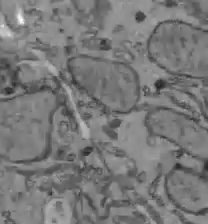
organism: C57BL Mouse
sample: Liver